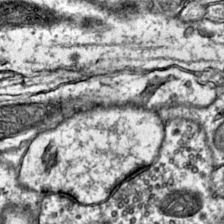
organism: Mouse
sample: Primary visual cortex